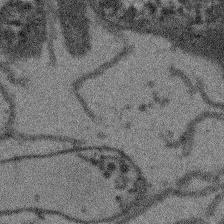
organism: Arabidopsis thaliana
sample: Root tip